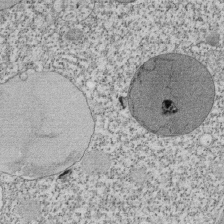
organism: Tetrahymena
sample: Cilia in tetrahymena